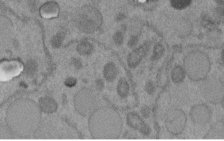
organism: C. elegans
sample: C. elegans embryo early stage